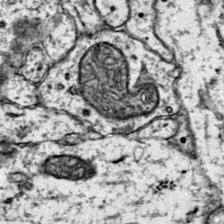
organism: Mouse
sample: Primary visual cortex